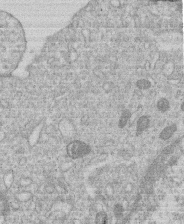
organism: Human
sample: Macrophage cells